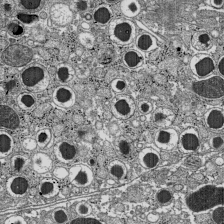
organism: C57BL Mouse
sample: Pancreatic islet